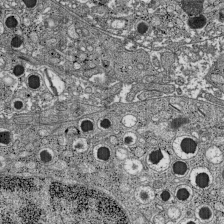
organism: C57BL Mouse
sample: Pancreatic islet